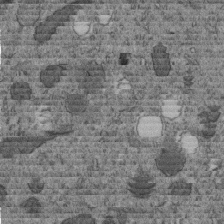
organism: C. elegans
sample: C. elegans embryo early stage